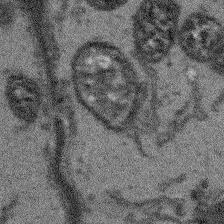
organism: Arabidopsis thaliana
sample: Root tip